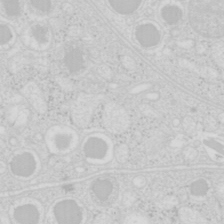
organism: Mouse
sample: Pancreas